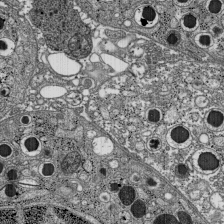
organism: C57BL Mouse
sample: Pancreatic islet